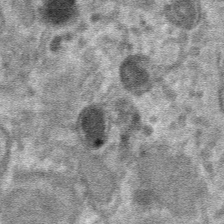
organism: Mouse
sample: Mouse hepatocytes